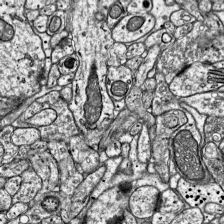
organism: Mouse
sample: Visual Cortex